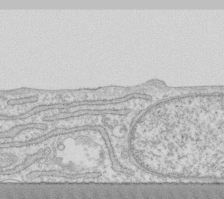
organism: Human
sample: Fibroblast cells